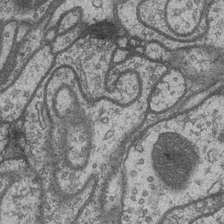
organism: Drosophila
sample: Optic medulla